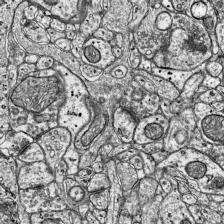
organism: Mouse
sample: Visual Cortex